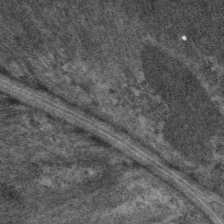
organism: C. elegans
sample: Pharynx